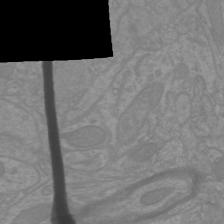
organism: Mouse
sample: Cortical neurons